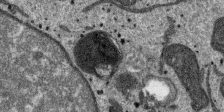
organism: Human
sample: Lung epithelial cells, uninfected (mock) control